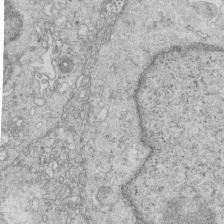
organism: Mouse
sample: Multiciliated cells